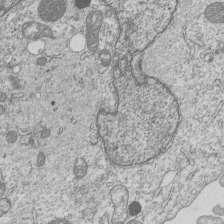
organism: Human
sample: MDA-MB-231 cells